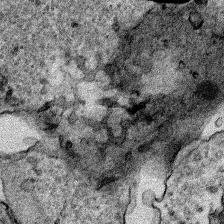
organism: Human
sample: Mitochondria in HCT116 cells